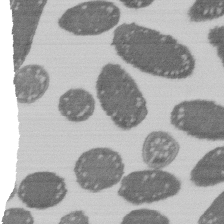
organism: E. coli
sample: Bacterial nucleoid